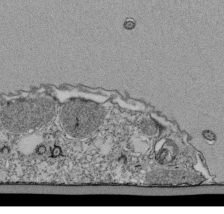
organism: Tetrahymena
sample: Cilia in tetrahymena